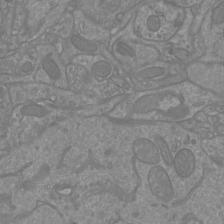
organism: Mouse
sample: Cortical neurons